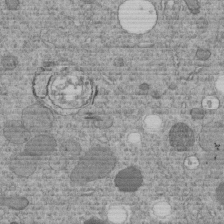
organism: C. elegans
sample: C. elegans embryo early stage